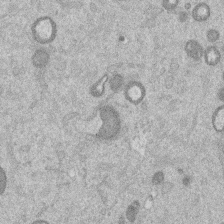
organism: Mouse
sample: Dividing mouse embryo 1 cell stage